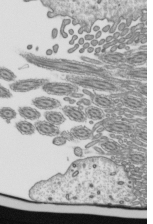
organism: Mouse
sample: Mouse epididymis efferent ductule cilia